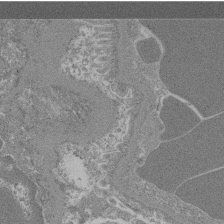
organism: Mouse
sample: Glomerulus